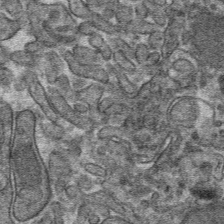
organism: Mouse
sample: Mouse hepatocytes